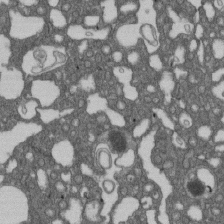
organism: Drosophila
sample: Nephrocyte